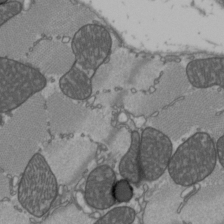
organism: C57BL Mouse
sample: Heart